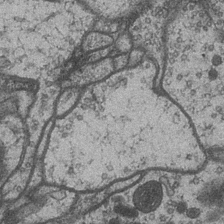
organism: Drosophila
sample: Optic medulla